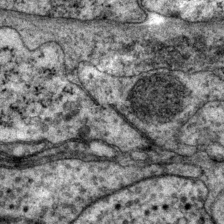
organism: P. pacificus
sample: Pharynx